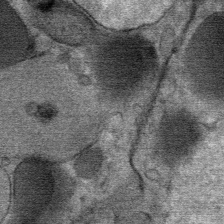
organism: Mouse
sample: Mouse Salivary gland